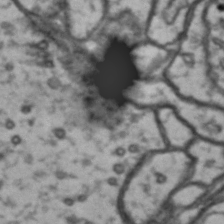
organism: Drosophila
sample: Brain